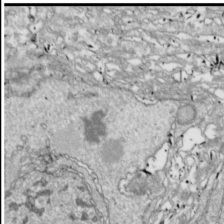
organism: Drosophila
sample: Cell division; meiosis; drosophila spermatocytes